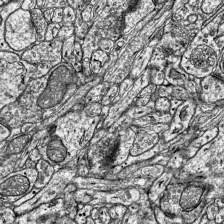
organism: Mouse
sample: Visual Cortex